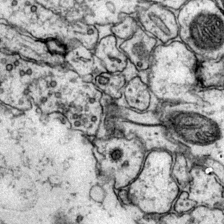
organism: Mouse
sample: Primary visual cortex